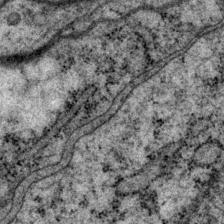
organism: P. pacificus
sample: Pharynx